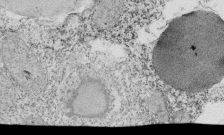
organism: Tetrahymena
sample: Cilia in tetrahymena